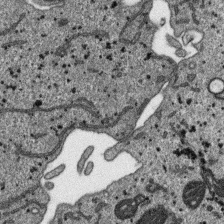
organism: Human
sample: Lung epithelial cells infected with SARS-CoV-2